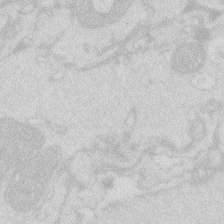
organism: Zebrafish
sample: Macrophage